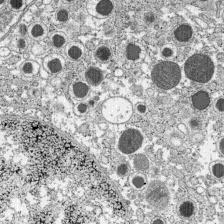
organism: C57BL Mouse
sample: Pancreatic islet